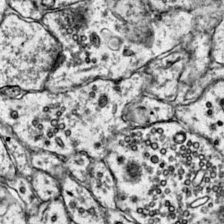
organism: Mouse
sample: Primary visual cortex